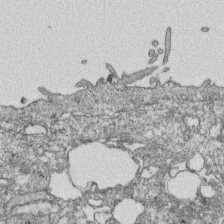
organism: Human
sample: HeLa cell HIV synapse